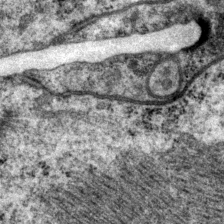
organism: P. pacificus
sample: Pharynx